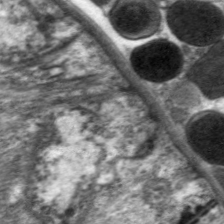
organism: C. elegans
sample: Pharynx